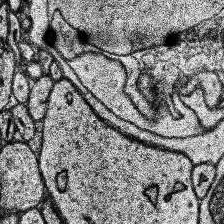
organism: Human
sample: Temporal Lobe